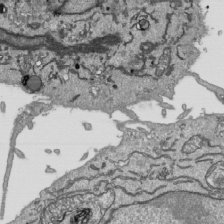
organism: Human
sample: Mitochondria in HCT116 cells